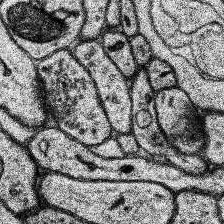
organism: Human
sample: Temporal Lobe